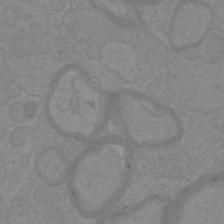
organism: Mouse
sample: Cortical neurons